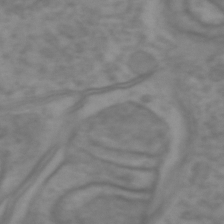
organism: Zebrafish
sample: Zebrafish embryo